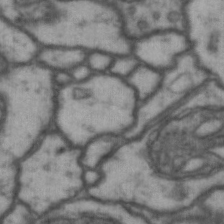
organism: Drosophila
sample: Brain